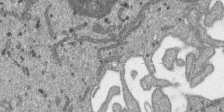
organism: Human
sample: Lung epithelial cells infected with SARS-CoV-2